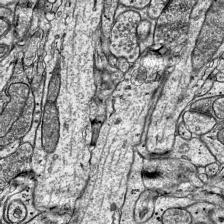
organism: Mouse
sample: Visual Cortex